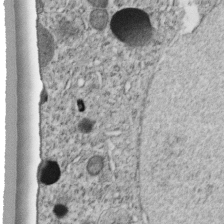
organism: C. elegans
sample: C. elegans embryo early stage